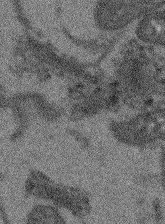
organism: Arabidopsis thaliana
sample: Root tip